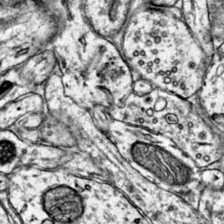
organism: Mouse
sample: Primary visual cortex